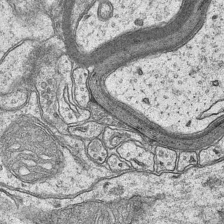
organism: Mouse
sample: CA1 Hippocampus